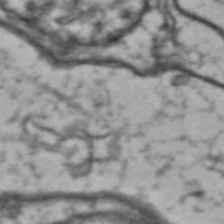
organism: Drosophila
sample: Brain